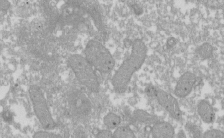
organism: Xenopus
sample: Cilia; centrioles in frog embryo cells